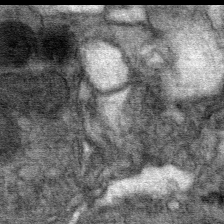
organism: Mouse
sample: Mouse Salivary gland